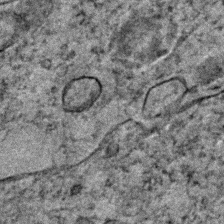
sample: Trachea